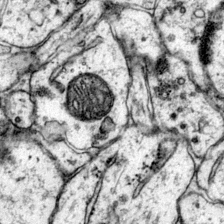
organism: Mouse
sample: Primary visual cortex